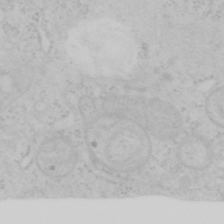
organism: Mouse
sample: OT-I killer T cells with ID8 ovarian cancer cells